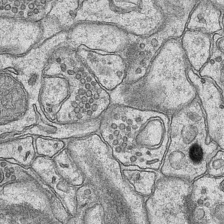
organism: Mouse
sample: CA1 Hippocampus